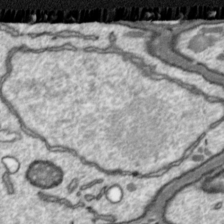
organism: Toxoplasma gondii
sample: Parasites in a vacuole inside a host cell